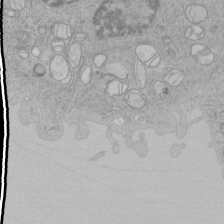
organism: Human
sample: Mitochondria in HCT116 cells